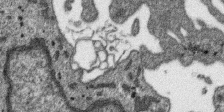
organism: Human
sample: Lung epithelial cells infected with SARS-CoV-2